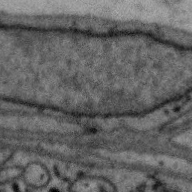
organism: Zebra finch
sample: Brain